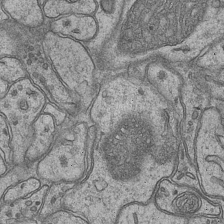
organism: Mouse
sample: CA1 Hippocampus